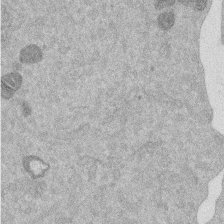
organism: Mouse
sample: Dividing mouse embryo 1 cell stage